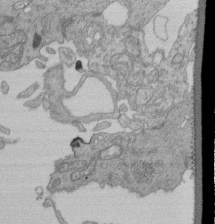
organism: Human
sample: Retinal organoid Rod and Cone cells